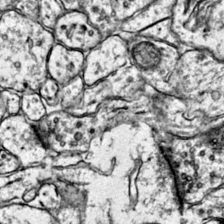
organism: Mouse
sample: Primary visual cortex